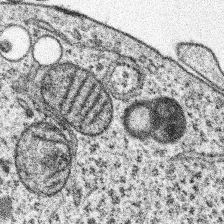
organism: Human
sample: HeLa cells